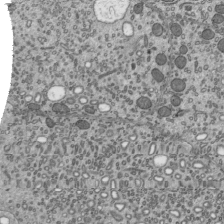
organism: Mouse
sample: Mouse epididymis efferent ductule cilia